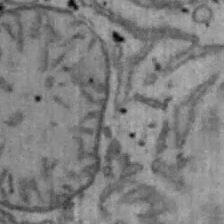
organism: Mouse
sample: Liver